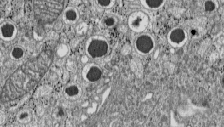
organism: C57BL Mouse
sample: Pancreatic islet